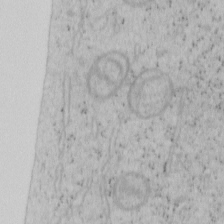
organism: Human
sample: HeLa cells